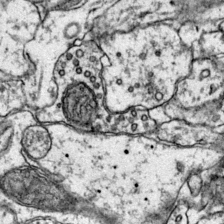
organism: Mouse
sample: Primary visual cortex